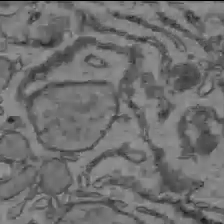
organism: C57BL Mouse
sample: Liver